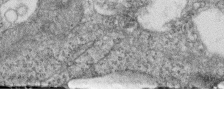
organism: Zebrafish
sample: Cilia; retinal pigment epithelium